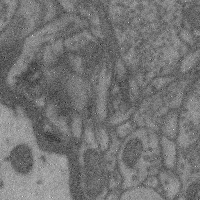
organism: Mouse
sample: Cerebral cortex